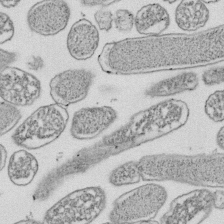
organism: E. coli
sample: Bacterial nucleoid